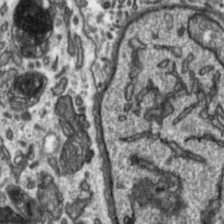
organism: Toxoplasma gondii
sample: Parasites in a vacuole inside a host cell